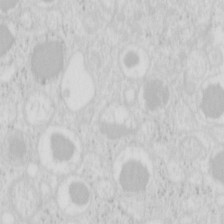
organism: Mouse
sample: Pancreas